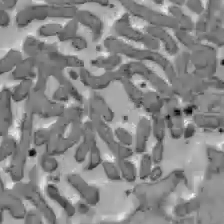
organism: C57BL Mouse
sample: Liver